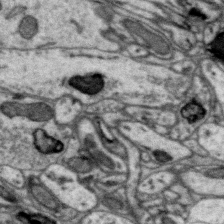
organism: Zebra finch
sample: Brain